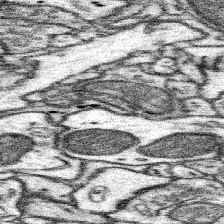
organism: Mouse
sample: Somatosensory cortex neuropil